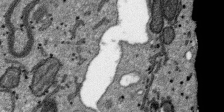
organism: Human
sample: Lung epithelial cells, uninfected (mock) control